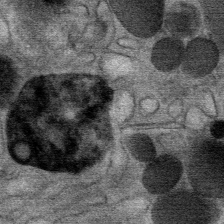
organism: Mouse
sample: Mouse Salivary gland